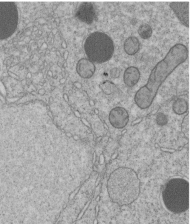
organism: C. elegans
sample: C. elegans embryo early stage